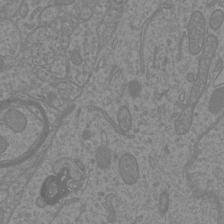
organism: Mouse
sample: Cortical neurons